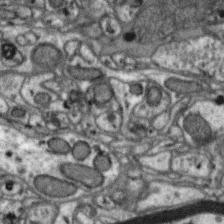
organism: Zebra finch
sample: Brain